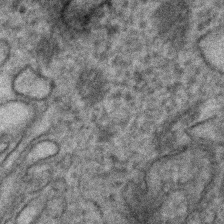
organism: Human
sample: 1205lu cells